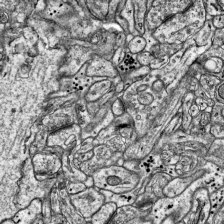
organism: Mouse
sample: Visual Cortex